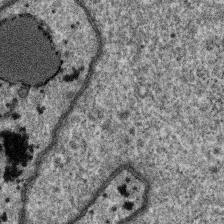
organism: Human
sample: Lung epithelial cells infected with SARS-CoV-2